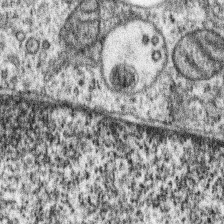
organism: Human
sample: HeLa cells